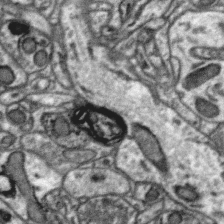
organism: Zebra finch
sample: Brain